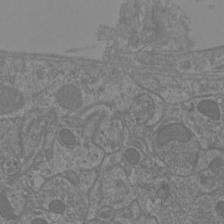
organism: Mouse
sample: Cortical neurons